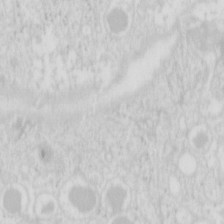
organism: Mouse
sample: Pancreas